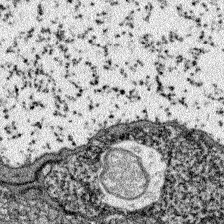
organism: Zebrafish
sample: Larval olfactory bulb